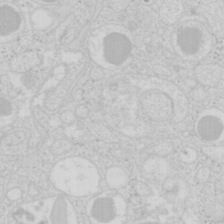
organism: Mouse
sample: Pancreas